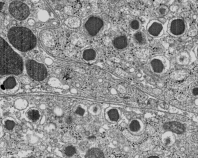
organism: C57BL Mouse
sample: Pancreatic islet